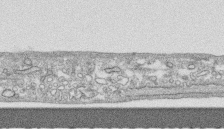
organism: Human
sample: CRL-1474